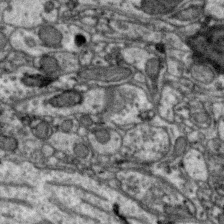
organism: Zebra finch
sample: Brain